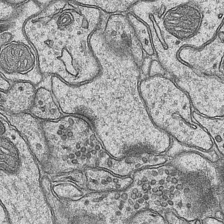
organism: Mouse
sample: CA1 Hippocampus